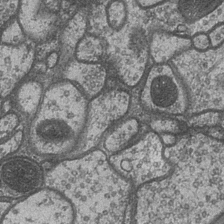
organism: Drosophila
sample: Optic medulla